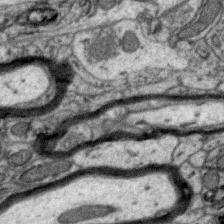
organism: Zebra finch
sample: Brain